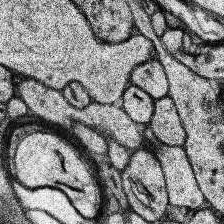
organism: Human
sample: Temporal Lobe